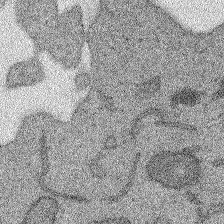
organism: Human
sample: HeLa cells